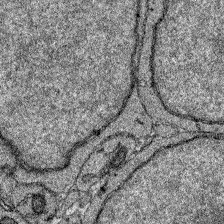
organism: Zebrafish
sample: Larval olfactory bulb